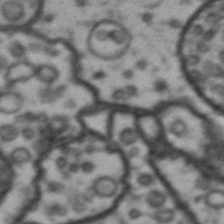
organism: Drosophila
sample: Brain